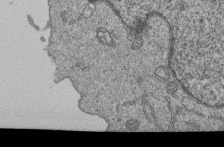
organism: Human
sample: MDA-MB-231 cells